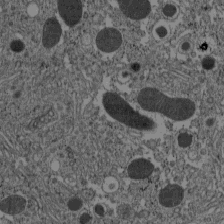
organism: C57BL Mouse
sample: Pancreatic islet